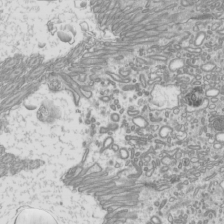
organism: Mouse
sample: Cilia; mouse epididymis